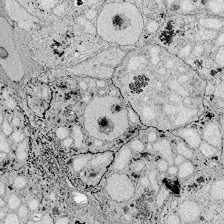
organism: Zebrafish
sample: Whole-Brain